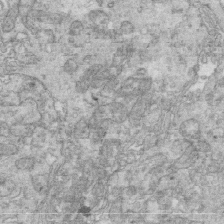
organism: Mouse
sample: Multiciliated cells